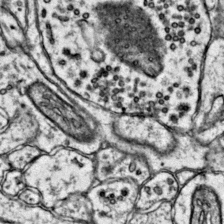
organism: Mouse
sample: Primary visual cortex